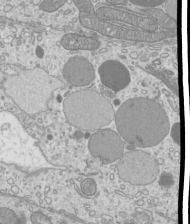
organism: Mouse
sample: Cilia; mouse epididymis